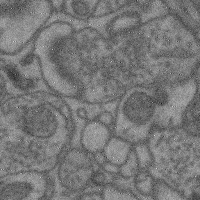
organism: Mouse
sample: Cerebral cortex